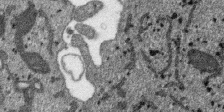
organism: Human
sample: Lung epithelial cells infected with SARS-CoV-2